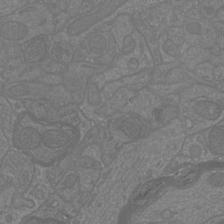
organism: Mouse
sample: Cortical neurons